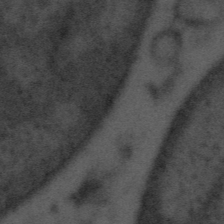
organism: Tuwongella immobilis